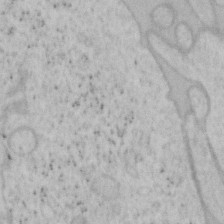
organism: Human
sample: HeLa cells